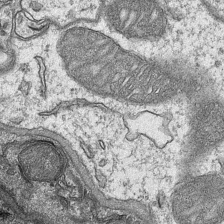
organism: Mouse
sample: CA1 Hippocampus